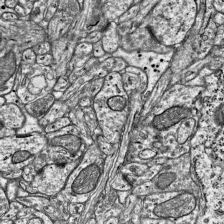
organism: Mouse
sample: Visual Cortex